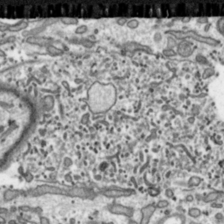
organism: Toxoplasma gondii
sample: Parasites in a vacuole inside a host cell